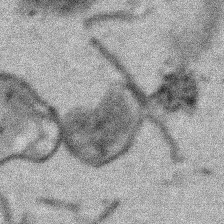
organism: Human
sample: Mitochondria in HCT116 cells